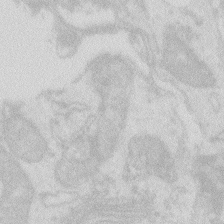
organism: Zebrafish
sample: Macrophage